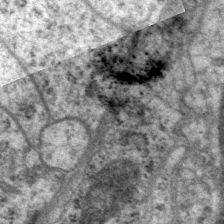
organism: P. pacificus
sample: Pharynx